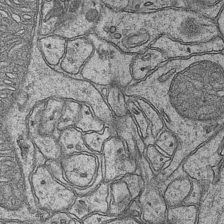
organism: Mouse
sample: CA1 Hippocampus